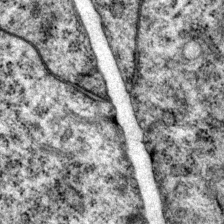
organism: P. pacificus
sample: Pharynx